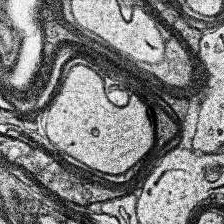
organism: Human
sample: Temporal Lobe